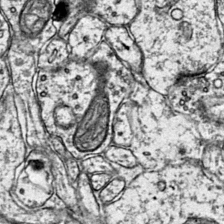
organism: Mouse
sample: Primary visual cortex